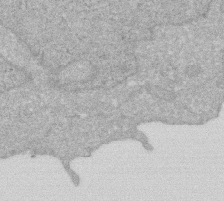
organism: Human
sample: HIV infected U937 cells